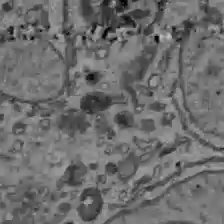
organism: C57BL Mouse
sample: Liver